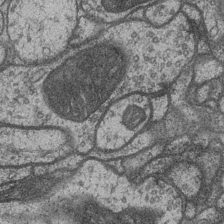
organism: Drosophila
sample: Optic medulla